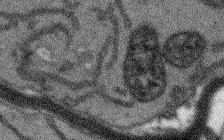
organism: Arabidopsis thaliana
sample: Root tip